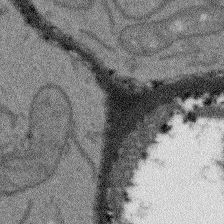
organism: Arabidopsis thaliana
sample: Root tip